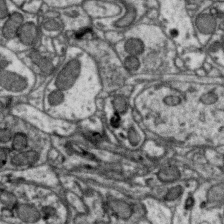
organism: Zebra finch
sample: Brain